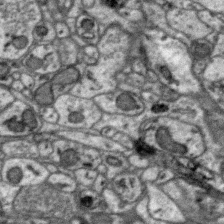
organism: Zebra finch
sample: Brain